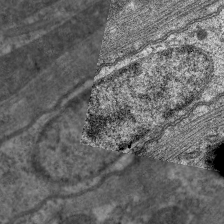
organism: C. elegans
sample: Pharynx